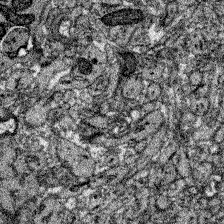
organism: Zebrafish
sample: Larval olfactory bulb